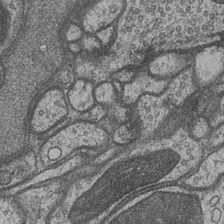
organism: Drosophila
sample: Optic medulla